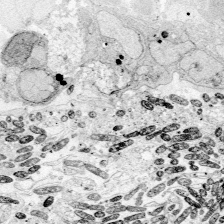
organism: Zebrafish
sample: Whole-Brain